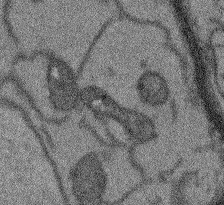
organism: Arabidopsis thaliana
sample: Root tip